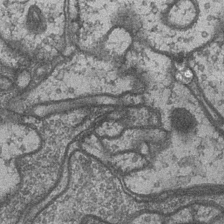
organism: Drosophila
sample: Optic medulla